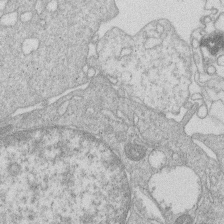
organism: Human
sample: Macrophage cells